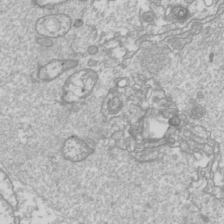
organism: Drosophila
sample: Cell division; meiosis; drosophila spermatocytes